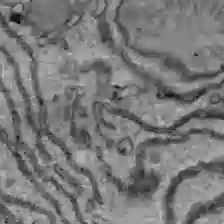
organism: C57BL Mouse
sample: Liver